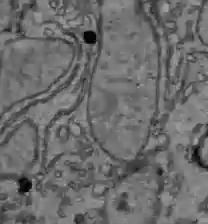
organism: C57BL Mouse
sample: Liver